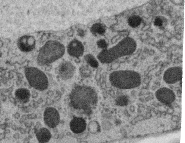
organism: C. elegans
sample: C. elegans oocyte; sperm cells